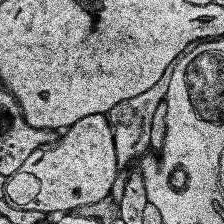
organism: Human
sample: Temporal Lobe